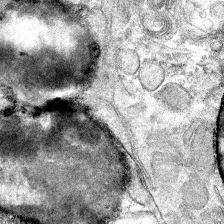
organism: Mouse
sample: Mouse hepatocytes